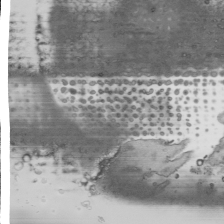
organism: Human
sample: Mitochondria in HCT116 cells